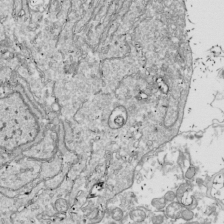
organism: Drosophila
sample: Cell division; meiosis; drosophila spermatocytes